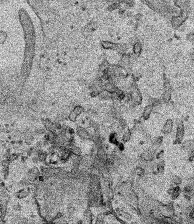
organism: Human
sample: Mitochondria in HCT116 cells